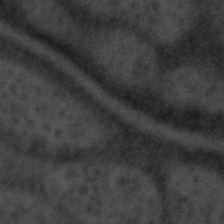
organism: Tuwongella immobilis